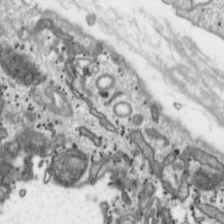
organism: Toxoplasma gondii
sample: Parasites in a vacuole inside a host cell